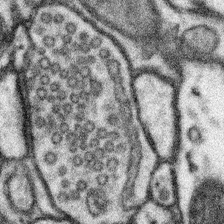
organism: Mouse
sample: Somatosensory cortex neuropil